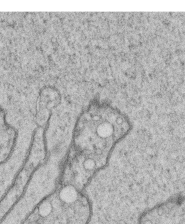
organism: C. elegans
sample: C. elegans oocyte; sperm cells